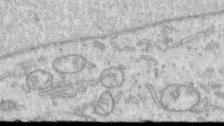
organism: Human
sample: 1205lu cells